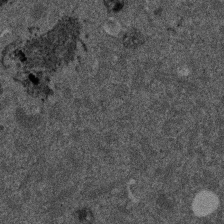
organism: Mouse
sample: Dividing mouse embryo 1 cell stage